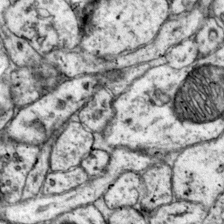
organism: Mouse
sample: Primary visual cortex